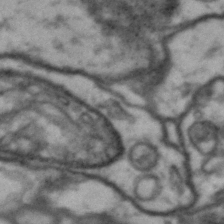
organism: Drosophila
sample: Brain